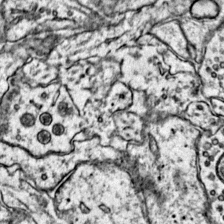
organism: Mouse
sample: Primary visual cortex